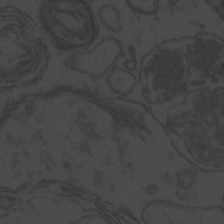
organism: Zebrafish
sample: Macrophage infected with Toxoplasma gondii